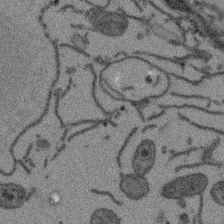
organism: Arabidopsis thaliana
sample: Root tip